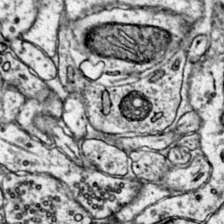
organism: Mouse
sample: Primary visual cortex